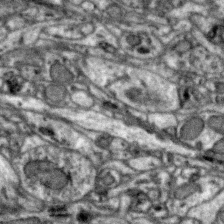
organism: Zebra finch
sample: Brain